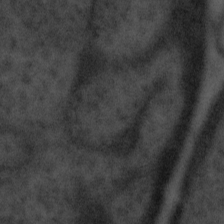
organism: Tuwongella immobilis